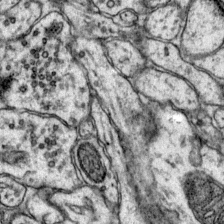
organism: Mouse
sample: Primary visual cortex